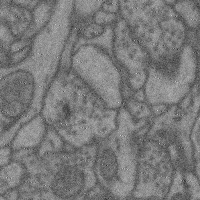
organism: Mouse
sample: Cerebral cortex